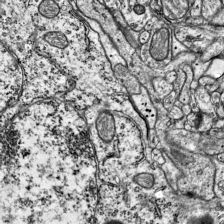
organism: Mouse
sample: Visual Cortex